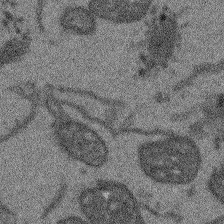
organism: Arabidopsis thaliana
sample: Root tip